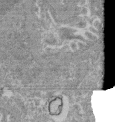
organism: Mouse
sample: Glomerulus